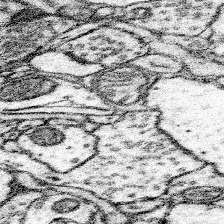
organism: Mouse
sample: Somatosensory cortex neuropil